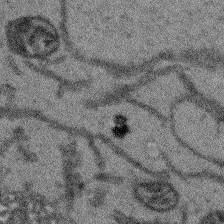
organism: Arabidopsis thaliana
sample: Root tip